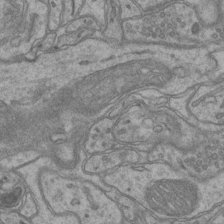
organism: Mouse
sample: CA1 Hippocampus